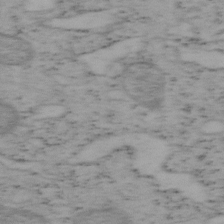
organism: Mouse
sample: OT-I killer T cells with ID8 ovarian cancer cells